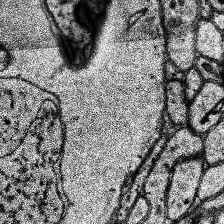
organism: Human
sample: Temporal Lobe